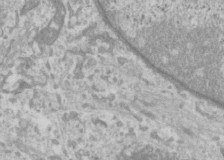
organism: Human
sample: Cilia; basal body in RPE cells